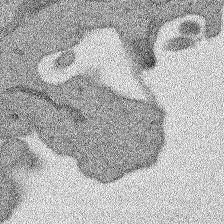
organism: Human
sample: HeLa cells